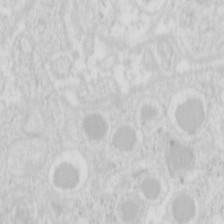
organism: Mouse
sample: Pancreas